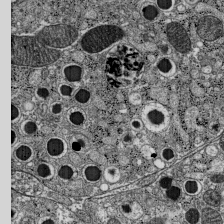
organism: C57BL Mouse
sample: Pancreatic islet